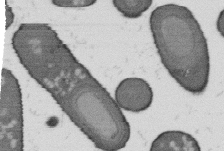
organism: B. subtilis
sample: Bacterial spore